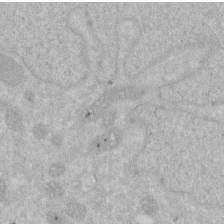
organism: Human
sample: HIV infected U937 cells